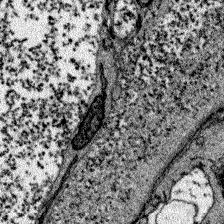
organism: Zebrafish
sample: Larval olfactory bulb